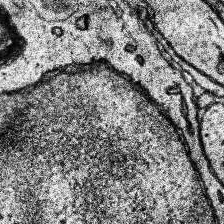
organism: Human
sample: Temporal Lobe